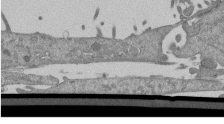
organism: Mouse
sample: ED-1 cell nuclei; centrioles